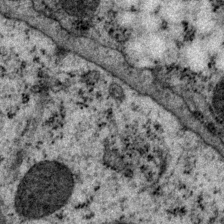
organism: P. pacificus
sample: Pharynx